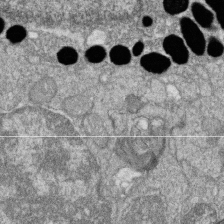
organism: Zebrafish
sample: Cilia; retinal pigment epithelium